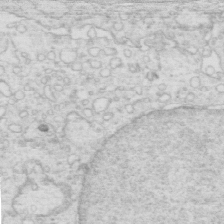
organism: Mouse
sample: Multiciliated cells